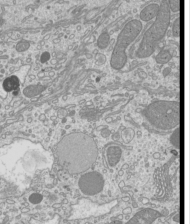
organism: Mouse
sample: Cilia; mouse epididymis